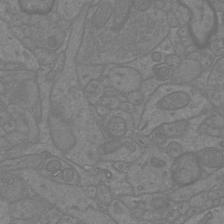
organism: Mouse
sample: Cortical neurons